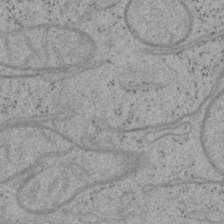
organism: Human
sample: HeLa cells